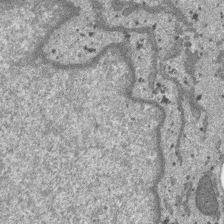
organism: Human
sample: Lung epithelial cells infected with SARS-CoV-2